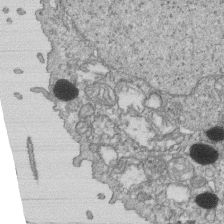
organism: Human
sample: HeLa cell HIV synapse